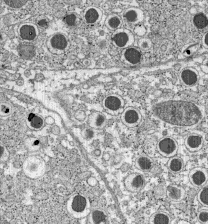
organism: C57BL Mouse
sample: Pancreatic islet